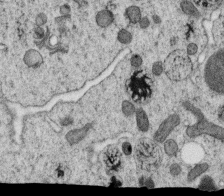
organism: C. elegans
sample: C. elegans oocyte; sperm cells